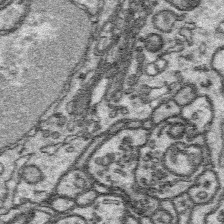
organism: Platynereis dumerilii